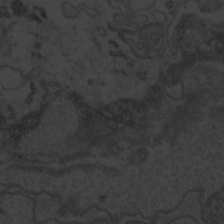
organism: Zebrafish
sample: Macrophage infected with Toxoplasma gondii